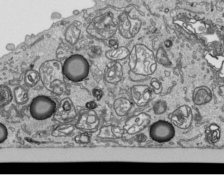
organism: Human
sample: Mitochondria in HCT116 cells